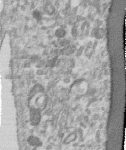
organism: Human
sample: Centriole in RPE cells